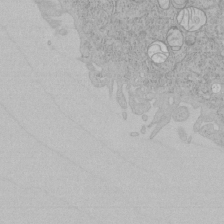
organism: Human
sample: Mitochondria in HCT116 cells